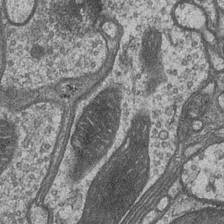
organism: Drosophila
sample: Optic medulla